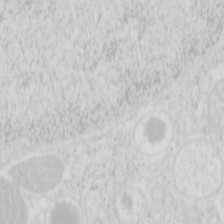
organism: Mouse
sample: Pancreas